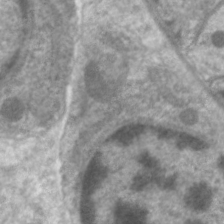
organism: C. elegans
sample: Pharynx